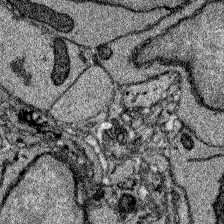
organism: Zebrafish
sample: Larval olfactory bulb